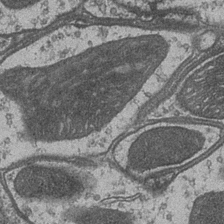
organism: Drosophila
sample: Optic medulla